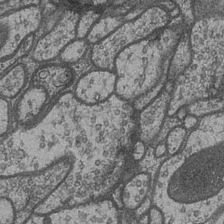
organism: Drosophila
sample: Optic medulla